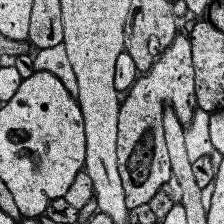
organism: Human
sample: Temporal Lobe